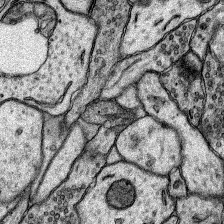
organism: Rat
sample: Hippocampus